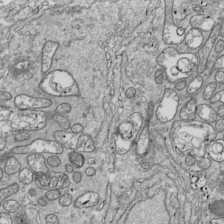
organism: Drosophila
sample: Cell division; meiosis; drosophila spermatocytes